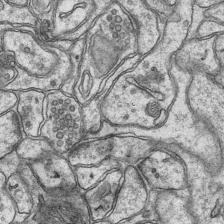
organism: Mouse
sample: CA1 Hippocampus